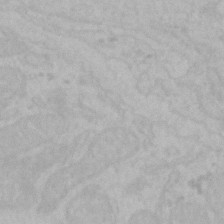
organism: Mouse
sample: Choroid plexus